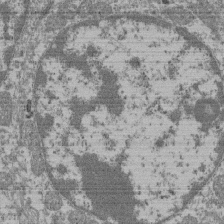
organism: Mouse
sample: Glomerulus